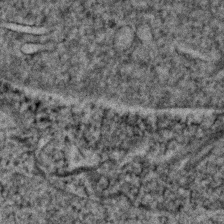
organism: Human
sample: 1205lu cells